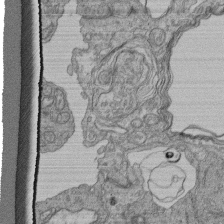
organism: Human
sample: Retinal organoid Rod and Cone cells